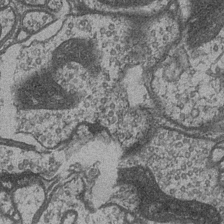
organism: Drosophila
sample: Optic medulla